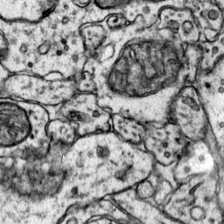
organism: Mouse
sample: Primary visual cortex